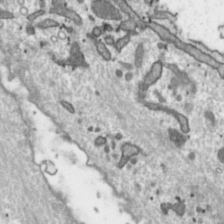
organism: Toxoplasma gondii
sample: Parasites in a vacuole inside a host cell